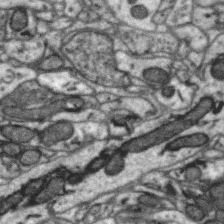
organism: Zebra finch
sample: Brain